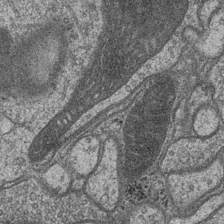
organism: Drosophila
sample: Optic medulla